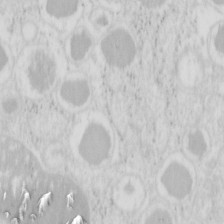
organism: Mouse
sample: Pancreas